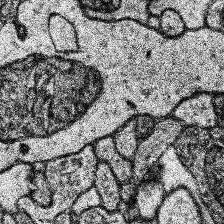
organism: Human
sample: Temporal Lobe